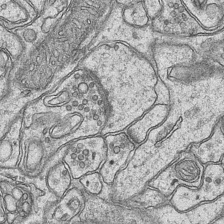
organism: Mouse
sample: CA1 Hippocampus